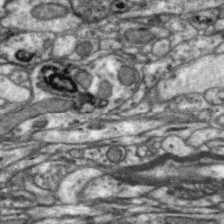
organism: Zebra finch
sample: Brain